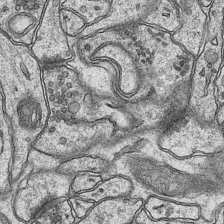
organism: Mouse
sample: CA1 Hippocampus